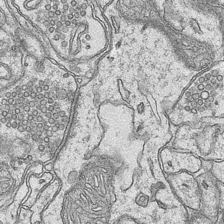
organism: Mouse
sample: CA1 Hippocampus